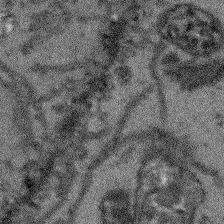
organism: Arabidopsis thaliana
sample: Root tip